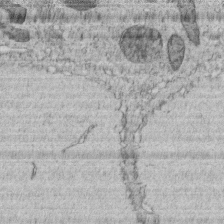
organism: C. elegans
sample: C. elegans embryo early stage